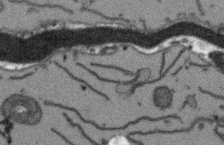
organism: Arabidopsis thaliana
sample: Root tip